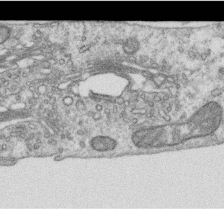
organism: Human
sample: Centriole in RPE cells